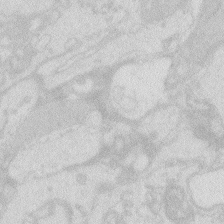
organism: Zebrafish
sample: Macrophage